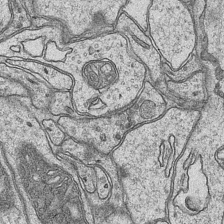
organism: Mouse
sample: CA1 Hippocampus